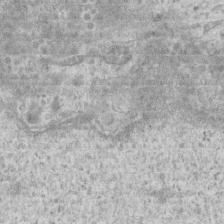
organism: Mouse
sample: Centriole in ependymal cells